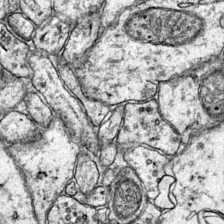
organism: Mouse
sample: Primary visual cortex